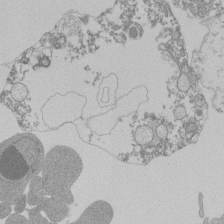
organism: Mouse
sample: Activated Pmel transgenic CD8+ T Cells